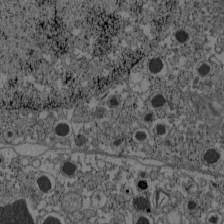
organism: C57BL Mouse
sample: Pancreatic islet